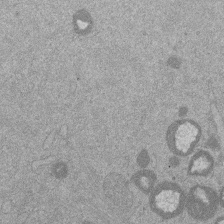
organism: Mouse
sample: Dividing mouse embryo 1 cell stage